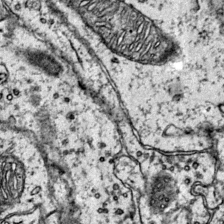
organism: Mouse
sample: Primary visual cortex